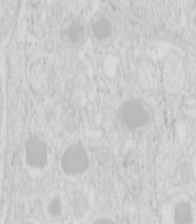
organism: Mouse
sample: Pancreas